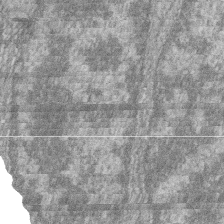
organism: Zebrafish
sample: Cilia; retinal pigment epithelium